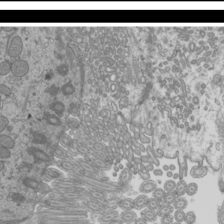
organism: Mouse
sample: Cilia; mouse epididymis